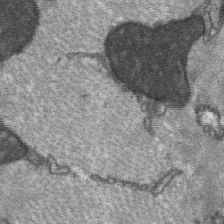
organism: C57BL Mouse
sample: Soleus